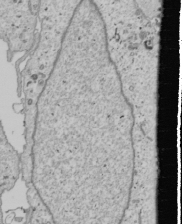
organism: Human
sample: Mitochondria in U2OS cells